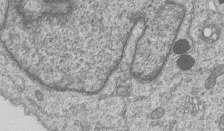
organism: Human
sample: MDA-MB-231 cells